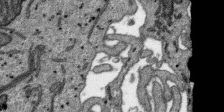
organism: Human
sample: Lung epithelial cells, uninfected (mock) control